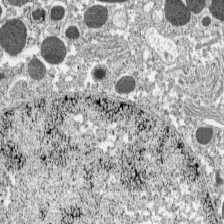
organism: C57BL Mouse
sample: Pancreatic islet